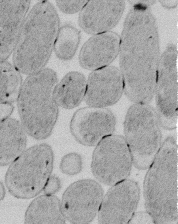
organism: E. coli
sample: Bacterial nucleoid